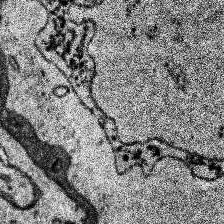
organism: Human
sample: Temporal Lobe